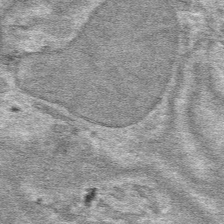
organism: Mouse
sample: Mouse hepatocytes